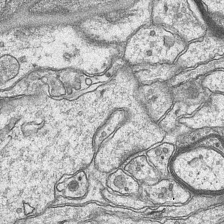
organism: Mouse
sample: CA1 Hippocampus